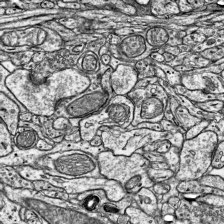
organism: Mouse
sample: Visual Cortex